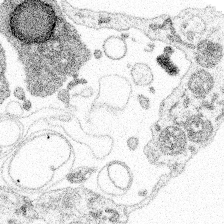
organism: Spongilla lacustris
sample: Multiple